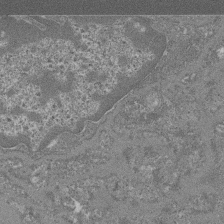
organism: Mouse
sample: Glomerulus